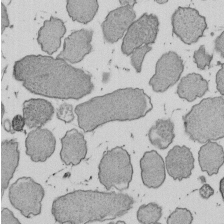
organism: E. coli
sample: Bacterial nucleoid